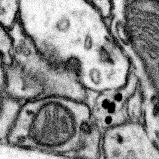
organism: Mouse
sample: Somatosensory cortex neuropil